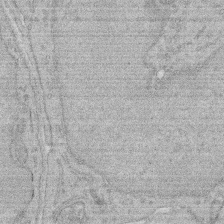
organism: Rat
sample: Salivary granule